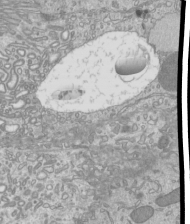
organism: Mouse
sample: Cilia; mouse epididymis